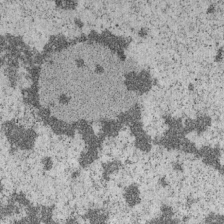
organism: Mouse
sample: OT-I killer T cells with ID8 ovarian cancer cells